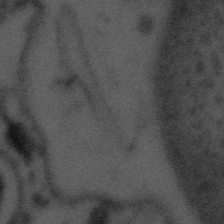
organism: Tuwongella immobilis